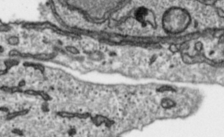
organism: Toxoplasma gondii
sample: Parasites in a vacuole inside a host cell